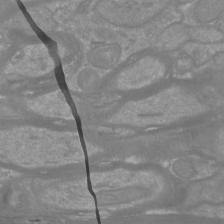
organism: Mouse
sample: Cortical neurons